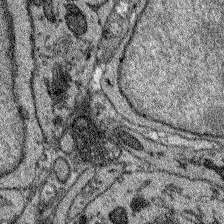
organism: Zebrafish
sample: Larval olfactory bulb